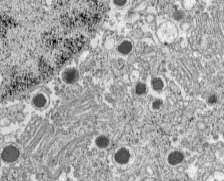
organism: C57BL Mouse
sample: Pancreatic islet